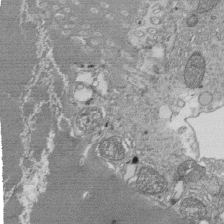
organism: Tetrahymena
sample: Cilia in tetrahymena